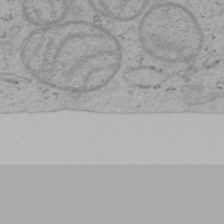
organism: Human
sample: HeLa cells